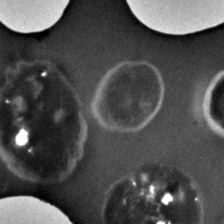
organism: C. elegans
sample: C. elegans embryo